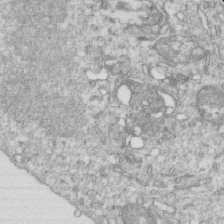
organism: Mouse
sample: Activated OT-1 CD8+ T cells